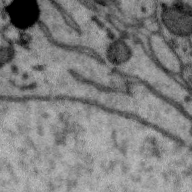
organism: Zebra finch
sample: Brain